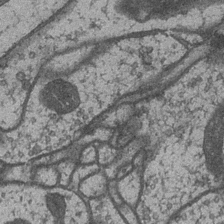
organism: Drosophila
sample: Optic medulla